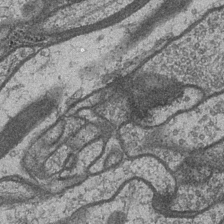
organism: Drosophila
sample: Optic medulla